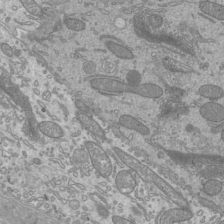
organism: Mouse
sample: Cilia; mouse epididymis